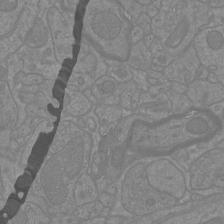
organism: Mouse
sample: Cortical neurons